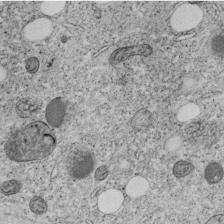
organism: C. elegans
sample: C. elegans embryo early stage